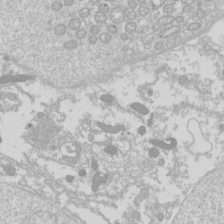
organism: Drosophila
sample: Cell division; meiosis; drosophila spermatocytes